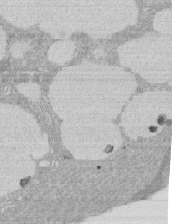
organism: Rat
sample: Salivary granule